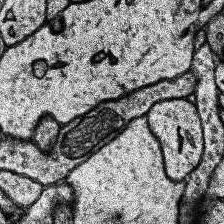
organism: Human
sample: Temporal Lobe